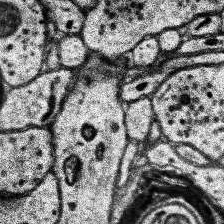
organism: Human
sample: Temporal Lobe